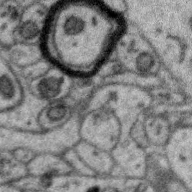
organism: Zebra finch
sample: Brain